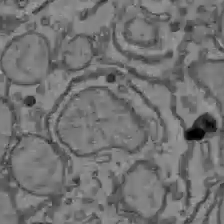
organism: C57BL Mouse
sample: Liver